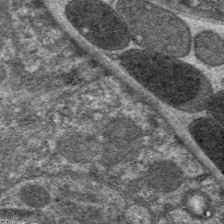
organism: C. elegans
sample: Pharynx